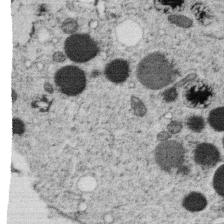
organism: C. elegans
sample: C. elegans oocyte; sperm cells